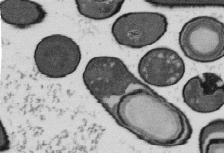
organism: B. subtilis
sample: Bacterial spore